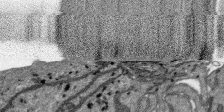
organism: Human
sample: Lung epithelial cells, uninfected (mock) control